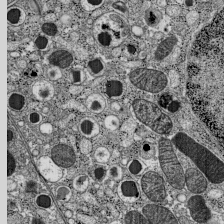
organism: C57BL Mouse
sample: Pancreatic islet